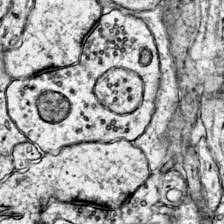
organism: Mouse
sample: Primary visual cortex